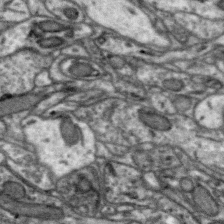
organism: Zebra finch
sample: Brain